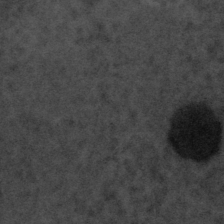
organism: Tuwongella immobilis